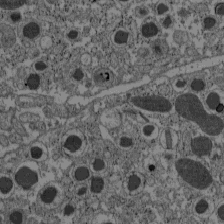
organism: C57BL Mouse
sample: Pancreatic islet